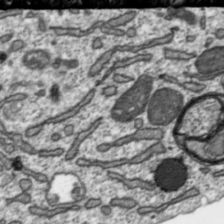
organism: Toxoplasma gondii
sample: Parasites in a vacuole inside a host cell